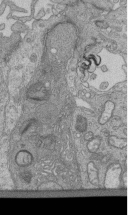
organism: Human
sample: Retinal organoid Rod and Cone cells